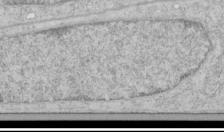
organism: Human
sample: Mitochondria in HCT116 cells